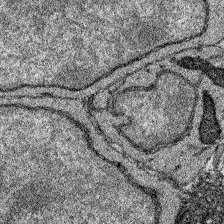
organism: Zebrafish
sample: Larval olfactory bulb